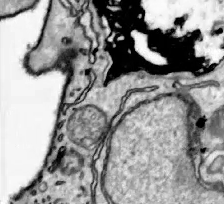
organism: Zebrafish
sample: Actinotrichia fibers